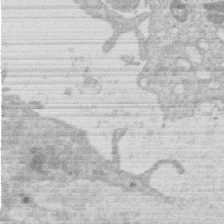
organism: Human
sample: Macrophage cells